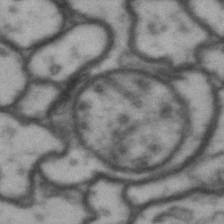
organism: Drosophila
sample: Brain